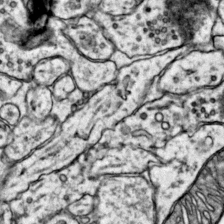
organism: Mouse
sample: Primary visual cortex